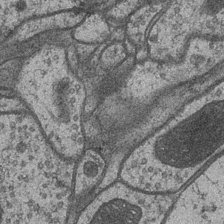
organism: Drosophila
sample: Optic medulla